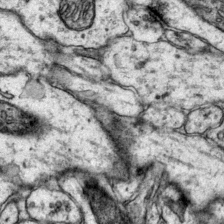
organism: Mouse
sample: Primary visual cortex